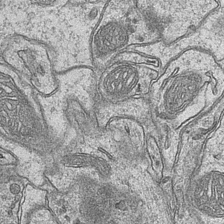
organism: Mouse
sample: CA1 Hippocampus